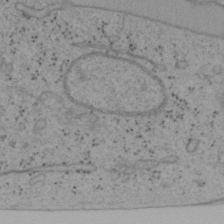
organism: Human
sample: HeLa cells